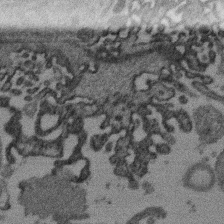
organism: Mouse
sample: Dividing mouse embryo 1 cell stage